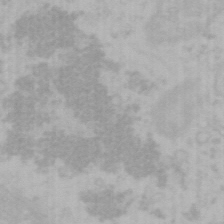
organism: Mouse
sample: Choroid plexus